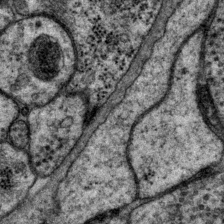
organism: P. pacificus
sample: Pharynx